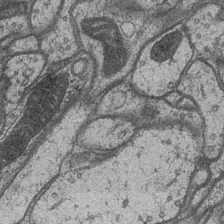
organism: Drosophila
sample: Optic medulla